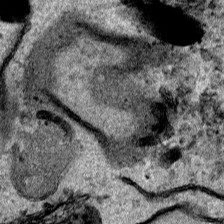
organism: Human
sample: Mitochondria in HCT116 cells